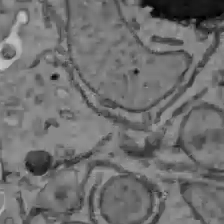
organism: C57BL Mouse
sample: Liver